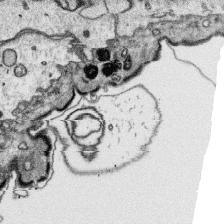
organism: Platynereis dumerilii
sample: Parapodia